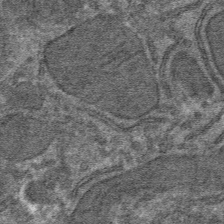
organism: Mouse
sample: Mouse hepatocytes